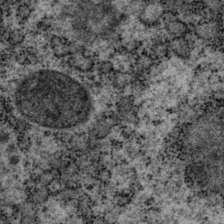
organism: P. pacificus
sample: Pharynx